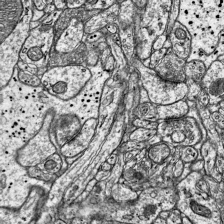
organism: Mouse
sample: Visual Cortex